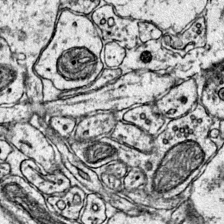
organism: Mouse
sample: Primary visual cortex